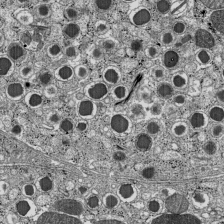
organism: C57BL Mouse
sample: Pancreatic islet